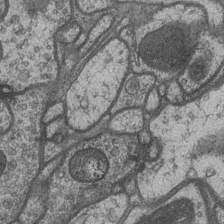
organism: Drosophila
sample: Optic medulla